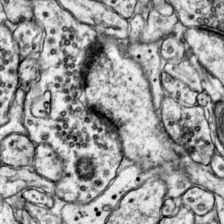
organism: Mouse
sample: Primary visual cortex